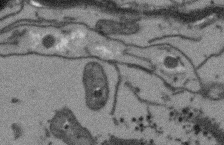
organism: Arabidopsis thaliana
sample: Root tip